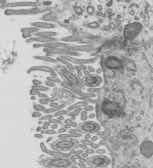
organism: Mouse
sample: Mouse epididymis efferent ductule cilia